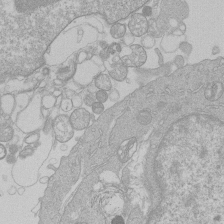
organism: Human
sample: Macrophage cells